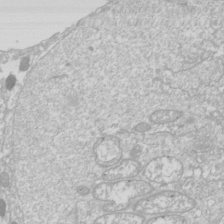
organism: Drosophila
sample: Cell division; meiosis; drosophila spermatocytes